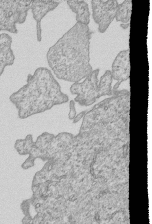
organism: Human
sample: MDA-MB-231 cells